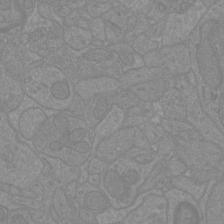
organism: Mouse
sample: Cortical neurons